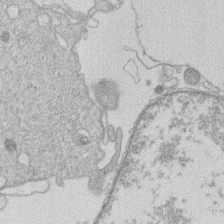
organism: Human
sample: Macrophage cells